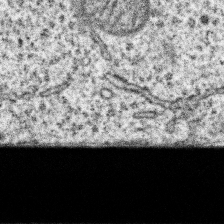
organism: Human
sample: HeLa cells